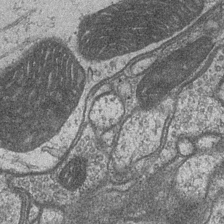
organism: Drosophila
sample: Optic medulla